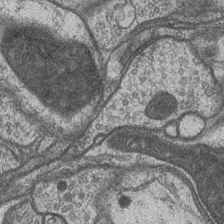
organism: Drosophila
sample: Optic medulla